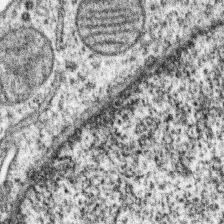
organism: Human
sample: HeLa cells